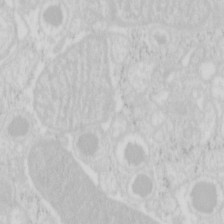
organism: Mouse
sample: Pancreas